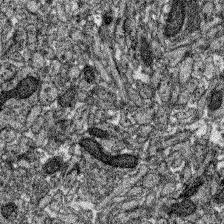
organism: Zebrafish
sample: Larval olfactory bulb